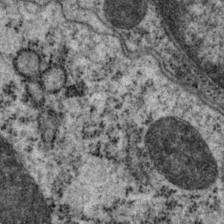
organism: P. pacificus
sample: Pharynx